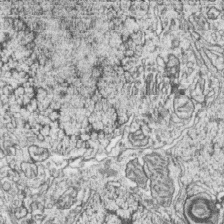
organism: Zebrafish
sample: synaptic ribbons in rod cells and cone cells